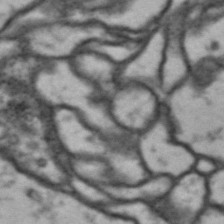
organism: Drosophila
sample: Brain